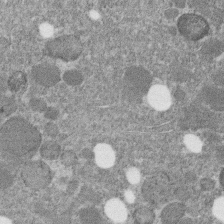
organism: C. elegans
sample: C. elegans embryo early stage